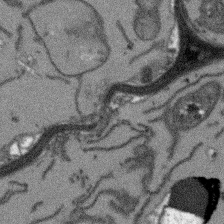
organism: Arabidopsis thaliana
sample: Root tip